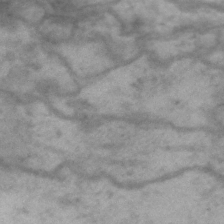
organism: Drosophila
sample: Brain